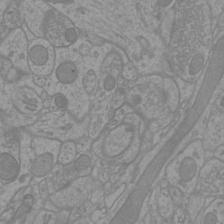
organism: Mouse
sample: Cortical neurons